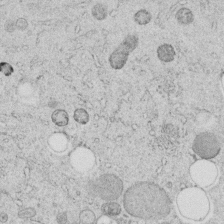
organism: C. elegans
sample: C. elegans embryo early stage